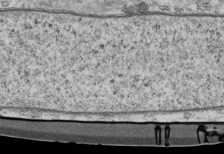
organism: Mouse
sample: Cilia; retinal pigment epithelium